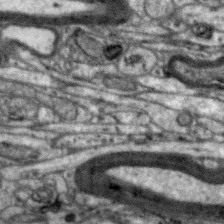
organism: Zebra finch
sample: Brain